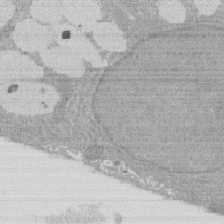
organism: Rat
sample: Salivary granule